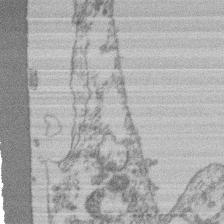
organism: Mouse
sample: T cell stromal cell synapse